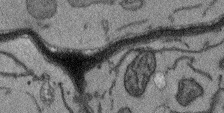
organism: Arabidopsis thaliana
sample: Root tip